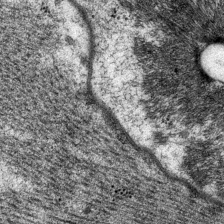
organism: P. pacificus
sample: Pharynx